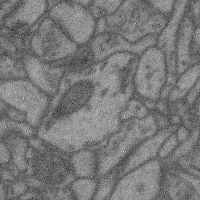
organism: Mouse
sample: Cerebral cortex